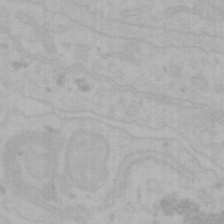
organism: Mouse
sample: Choroid plexus